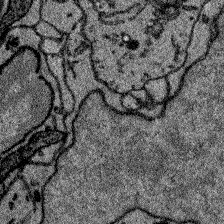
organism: Zebrafish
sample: Larval olfactory bulb